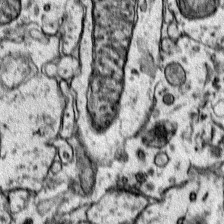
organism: Mouse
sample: Primary visual cortex